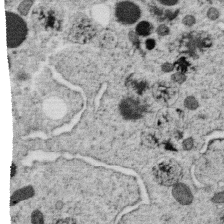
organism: C. elegans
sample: C. elegans oocyte; sperm cells